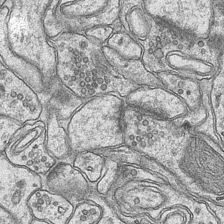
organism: Mouse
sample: CA1 Hippocampus